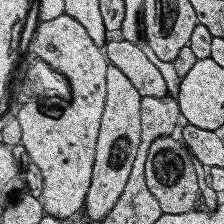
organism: Human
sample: Temporal Lobe